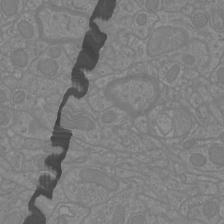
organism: Mouse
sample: Cortical neurons